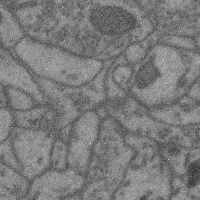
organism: Mouse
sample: Cerebral cortex